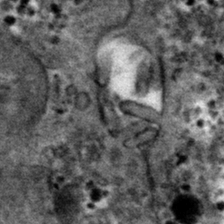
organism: Mouse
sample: Mouse hepatocytes